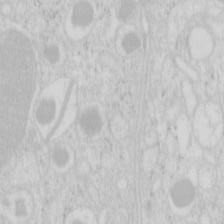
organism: Mouse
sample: Pancreas